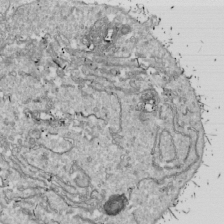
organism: Drosophila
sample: Cell division; meiosis; drosophila spermatocytes